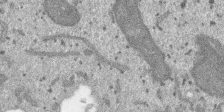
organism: Human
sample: Lung epithelial cells infected with SARS-CoV-2